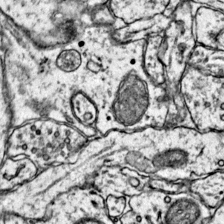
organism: Mouse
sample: Primary visual cortex